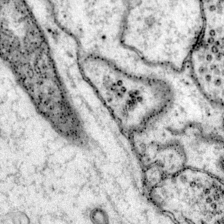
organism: Mouse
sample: Primary visual cortex